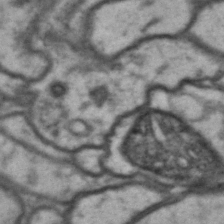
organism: Drosophila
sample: Brain